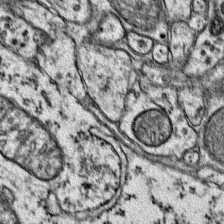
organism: Mouse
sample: Primary visual cortex